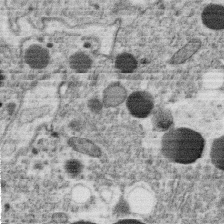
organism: C. elegans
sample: C. elegans oocyte; sperm cells